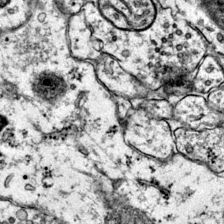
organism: Mouse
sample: Primary visual cortex